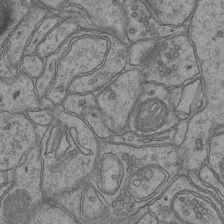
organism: Mouse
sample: CA1 Hippocampus